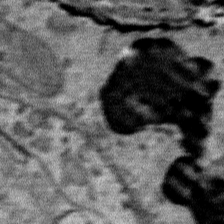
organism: Mouse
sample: Mouse Salivary gland